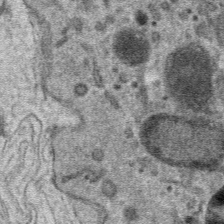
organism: Mouse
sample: Mouse hepatocytes